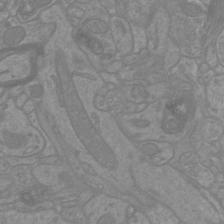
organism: Mouse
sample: Cortical neurons